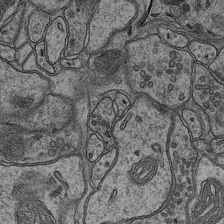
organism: Mouse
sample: CA1 Hippocampus